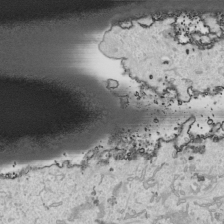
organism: Human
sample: Mitochondria in HCT116 cells